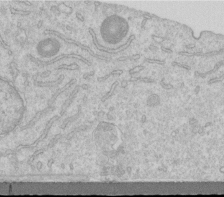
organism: Human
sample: Centriole in RPE cells